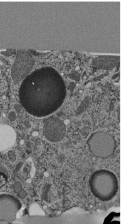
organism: C. elegans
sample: C. elegans pharynx